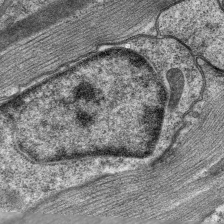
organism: C. elegans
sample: Pharynx